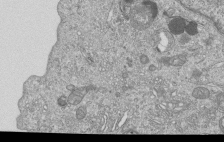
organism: Human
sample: MDA-MB-231 cells